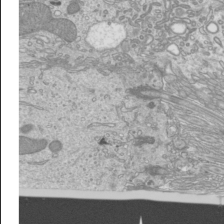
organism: Mouse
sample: Cilia; mouse epididymis